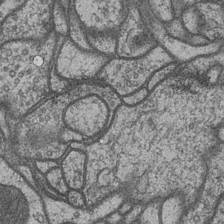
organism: Drosophila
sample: Optic medulla